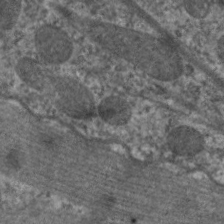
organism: C. elegans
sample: Pharynx